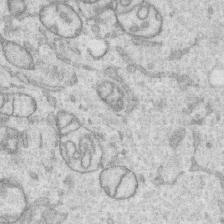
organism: Human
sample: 1205lu cells